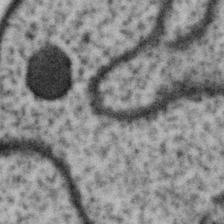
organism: Gemmata obscuriglobus